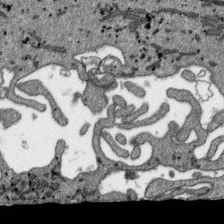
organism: Human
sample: Lung epithelial cells, uninfected (mock) control